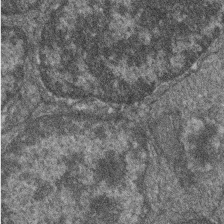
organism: Zebrafish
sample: Cilia; retinal pigment epithelium